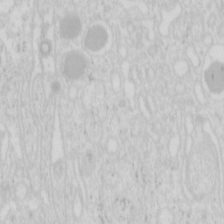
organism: Mouse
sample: Pancreas